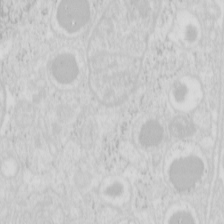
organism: Mouse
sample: Pancreas